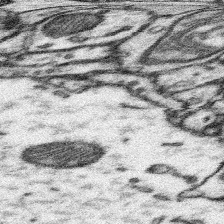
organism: Mouse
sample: Somatosensory cortex neuropil